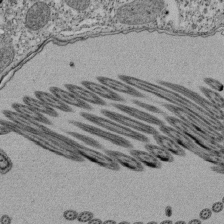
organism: Tetrahymena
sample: Cilia in tetrahymena